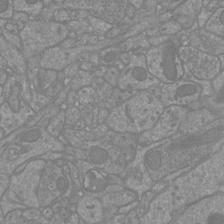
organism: Mouse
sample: Cortical neurons